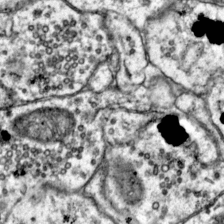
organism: Mouse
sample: Primary visual cortex